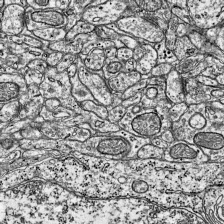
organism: Mouse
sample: Visual Cortex